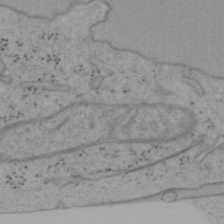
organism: Human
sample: HeLa cells